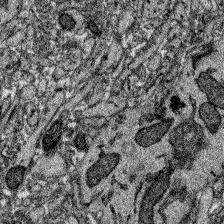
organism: Zebrafish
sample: Larval olfactory bulb